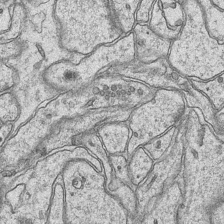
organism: Mouse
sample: CA1 Hippocampus